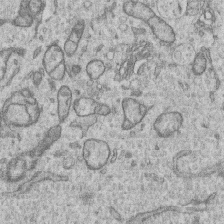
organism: Human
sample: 1205lu cells